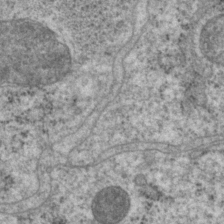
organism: P. pacificus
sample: Pharynx